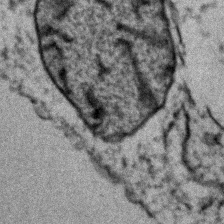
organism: Zebrafish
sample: Zebrafish embryo